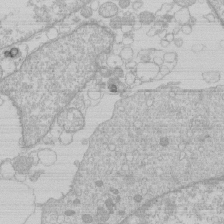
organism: Human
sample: Macrophage cells